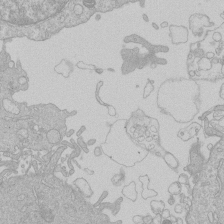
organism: Human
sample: Macrophage cells